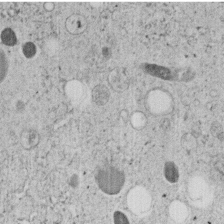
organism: C. elegans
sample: C. elegans embryo early stage